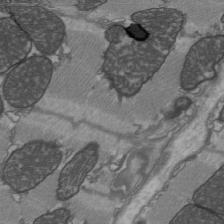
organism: C57BL Mouse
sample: Heart